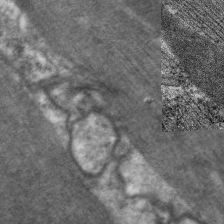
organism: C. elegans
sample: Pharynx